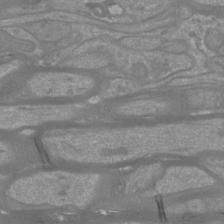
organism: Mouse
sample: Cortical neurons